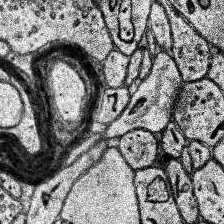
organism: Human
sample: Temporal Lobe